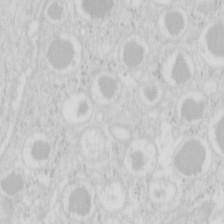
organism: Mouse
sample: Pancreas